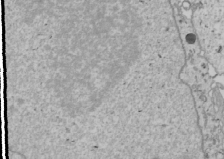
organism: Human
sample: Mitochondria in U2OS cells